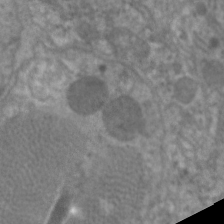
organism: C. elegans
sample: Pharynx